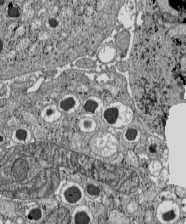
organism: C57BL Mouse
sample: Pancreatic islet